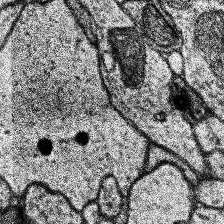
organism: Human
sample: Temporal Lobe